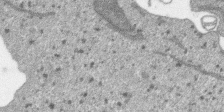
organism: Human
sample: Lung epithelial cells infected with SARS-CoV-2